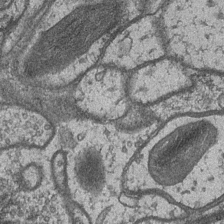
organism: Drosophila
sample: Optic medulla